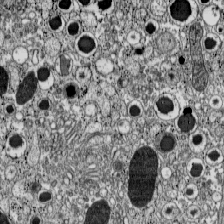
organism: C57BL Mouse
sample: Pancreatic islet